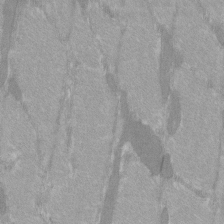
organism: C57BL Mouse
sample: Tibialis anterior muscle cell